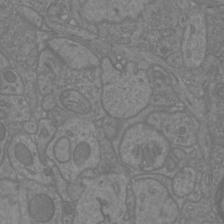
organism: Mouse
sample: Cortical neurons